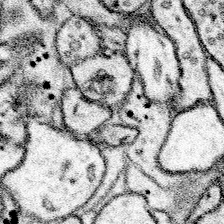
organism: Mouse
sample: Somatosensory cortex neuropil